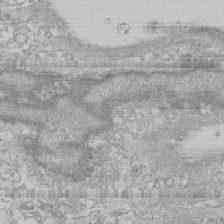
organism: Human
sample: CRL-1474